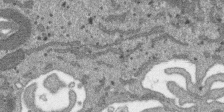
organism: Human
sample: Lung epithelial cells infected with SARS-CoV-2